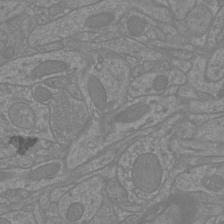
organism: Mouse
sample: Cortical neurons